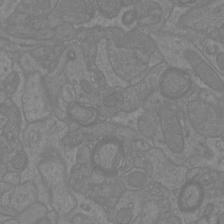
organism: Mouse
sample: Cortical neurons